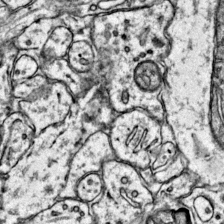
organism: Mouse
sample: Primary visual cortex